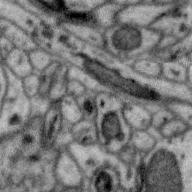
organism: Zebra finch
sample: Brain